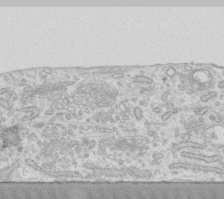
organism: Human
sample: Fibroblast cells